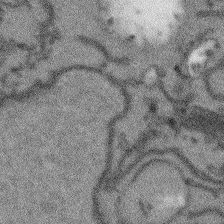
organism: Arabidopsis thaliana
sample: Root tip